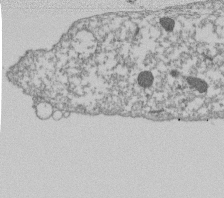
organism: Dictyostelium discoideum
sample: Dictyostelium multivesicular bodies